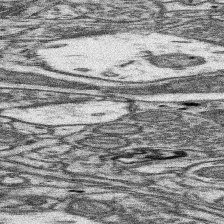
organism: Mouse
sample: Somatosensory cortex neuropil